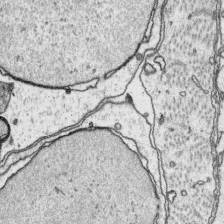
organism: Platynereis dumerilii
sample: Parapodia